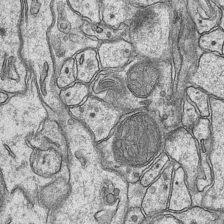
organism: Mouse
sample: CA1 Hippocampus